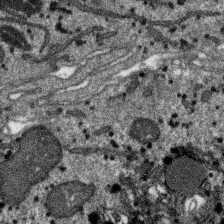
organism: Human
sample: Lung epithelial cells infected with SARS-CoV-2